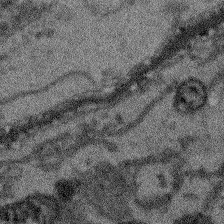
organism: Arabidopsis thaliana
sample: Root tip